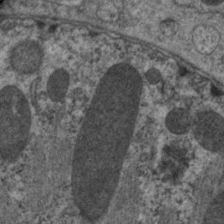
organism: C. elegans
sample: Pharynx